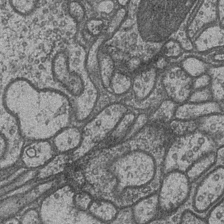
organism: Drosophila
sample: Optic medulla